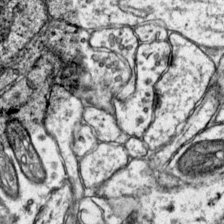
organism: Mouse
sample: Primary visual cortex